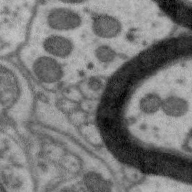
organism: Zebra finch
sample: Brain